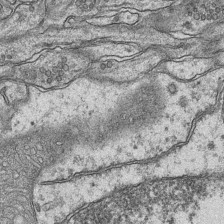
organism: Mouse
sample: CA1 Hippocampus